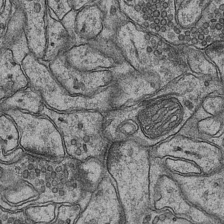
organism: Mouse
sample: CA1 Hippocampus